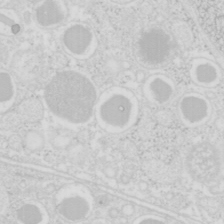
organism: Mouse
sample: Pancreas